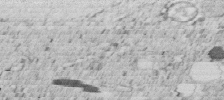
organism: C. elegans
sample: C. elegans embryo early stage